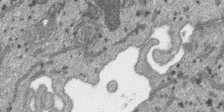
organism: Human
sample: Lung epithelial cells infected with SARS-CoV-2